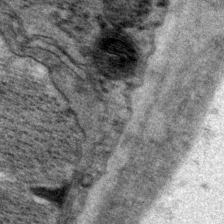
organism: P. pacificus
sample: Pharynx